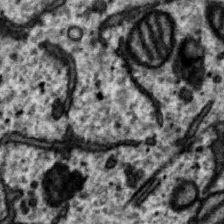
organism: Human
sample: HeLa cells